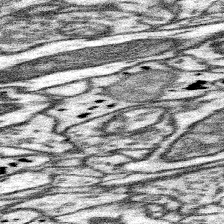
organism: Mouse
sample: Somatosensory cortex neuropil